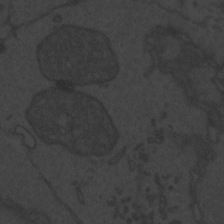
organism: Zebrafish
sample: Macrophage infected with Toxoplasma gondii